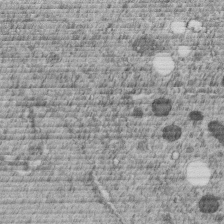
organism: C. elegans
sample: C. elegans embryo early stage